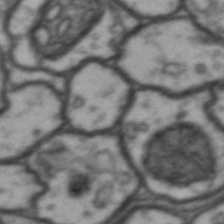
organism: Drosophila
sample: Brain